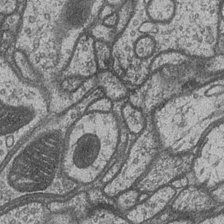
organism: Drosophila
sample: Optic medulla